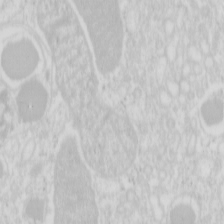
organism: Mouse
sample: Pancreas